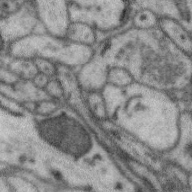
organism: Zebra finch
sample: Brain